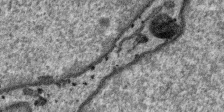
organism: Human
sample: Lung epithelial cells, uninfected (mock) control